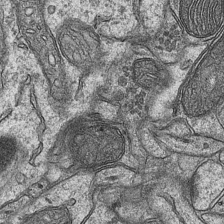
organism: Mouse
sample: CA1 Hippocampus